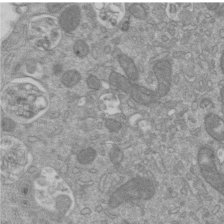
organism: Mouse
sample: ED-1 cell nuclei; centrioles